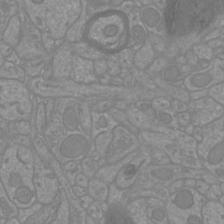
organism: Mouse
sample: Cortical neurons